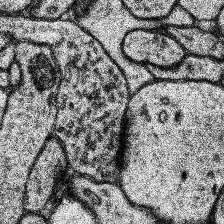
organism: Human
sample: Temporal Lobe